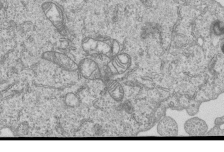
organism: Human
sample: MDA-MB-231 cells